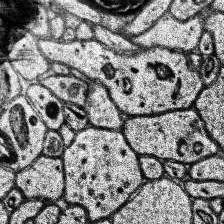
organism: Human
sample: Temporal Lobe